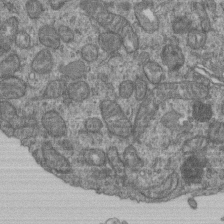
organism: Human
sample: Retinal organoid Rod and Cone cells